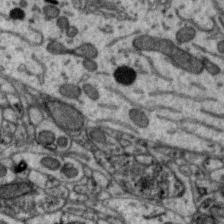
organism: Zebra finch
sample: Brain